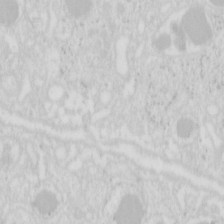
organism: Mouse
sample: Pancreas